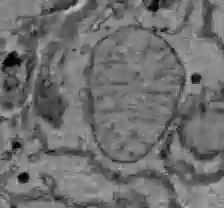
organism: C57BL Mouse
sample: Liver